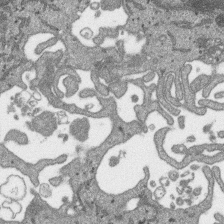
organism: Human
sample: Lung epithelial cells infected with SARS-CoV-2